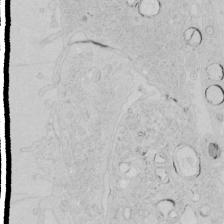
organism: Human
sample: Mitochondria in HCT116 cells